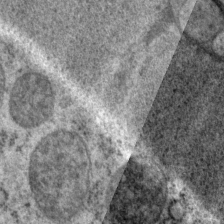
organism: P. pacificus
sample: Pharynx